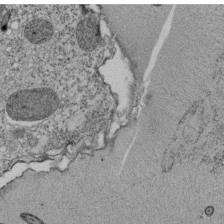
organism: Tetrahymena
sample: Cilia in tetrahymena